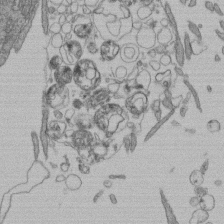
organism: Human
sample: Retinal organoid Rod and Cone cells